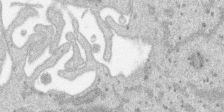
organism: Human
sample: Lung epithelial cells infected with SARS-CoV-2